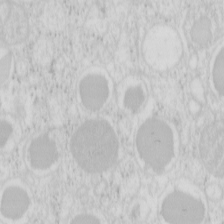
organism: Mouse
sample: Pancreas